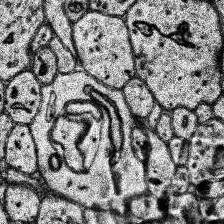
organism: Human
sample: Temporal Lobe